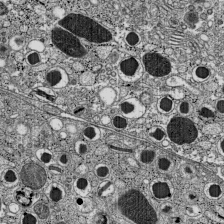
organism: C57BL Mouse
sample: Pancreatic islet